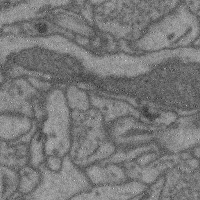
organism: Mouse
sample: Cerebral cortex